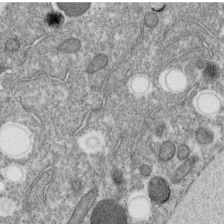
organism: C. elegans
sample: C. elegans oocyte; sperm cells